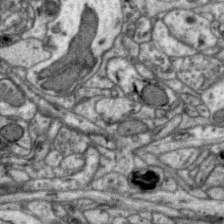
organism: Zebra finch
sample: Brain